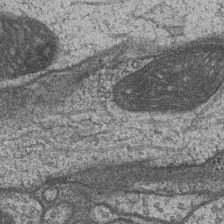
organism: Drosophila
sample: Optic medulla